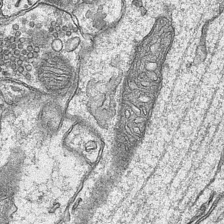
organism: Mouse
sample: CA1 Hippocampus